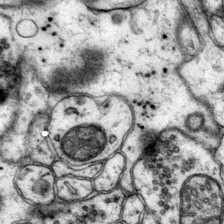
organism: Mouse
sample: Primary visual cortex